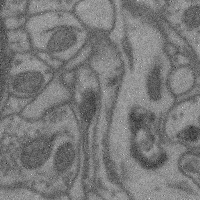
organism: Mouse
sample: Cerebral cortex